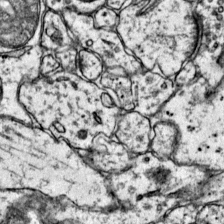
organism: Mouse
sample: Primary visual cortex